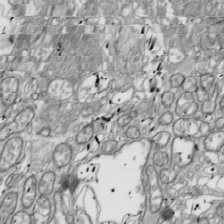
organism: Drosophila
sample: Cell division; meiosis; drosophila spermatocytes